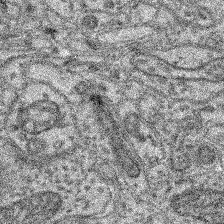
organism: Mouse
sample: Retina